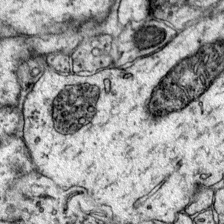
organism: Mouse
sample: Primary visual cortex